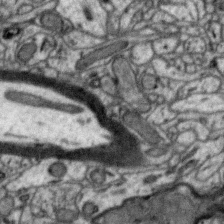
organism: Zebra finch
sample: Brain